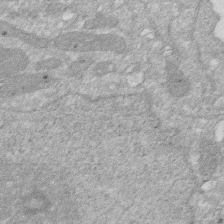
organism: Human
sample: HIV infected U937 cells